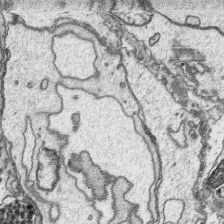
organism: Platynereis dumerilii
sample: Parapodia